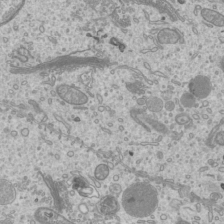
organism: Mouse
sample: Cilia; mouse epididymis